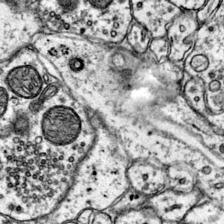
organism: Mouse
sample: Primary visual cortex